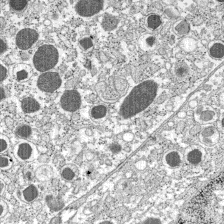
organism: C57BL Mouse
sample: Pancreatic islet